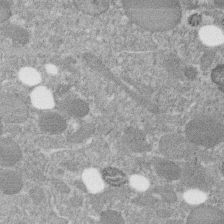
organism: C. elegans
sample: C. elegans embryo early stage